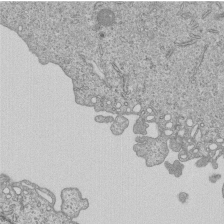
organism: Human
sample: MDA-MB-231 cells